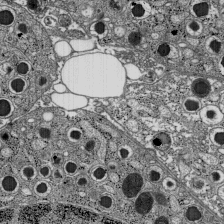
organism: C57BL Mouse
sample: Pancreatic islet